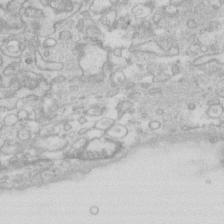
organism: Human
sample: Fibroblast cells